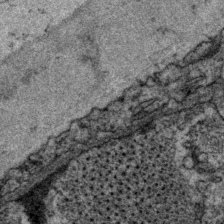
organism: P. pacificus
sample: Pharynx